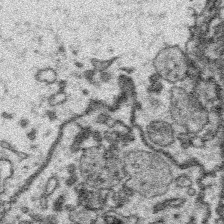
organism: Platynereis dumerilii